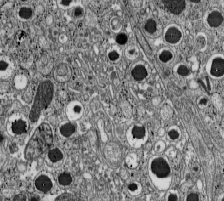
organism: C57BL Mouse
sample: Pancreatic islet